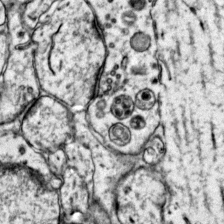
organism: Mouse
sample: Primary visual cortex